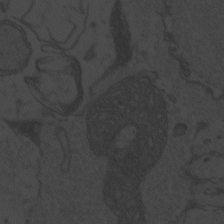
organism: Zebrafish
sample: Macrophage infected with Toxoplasma gondii